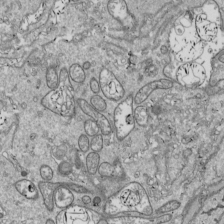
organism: Drosophila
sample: Cell division; meiosis; drosophila spermatocytes